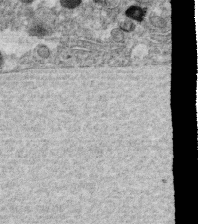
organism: C. elegans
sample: C. elegans oocyte; sperm cells